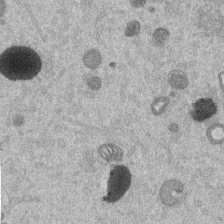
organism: Mouse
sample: Dividing mouse embryo 1 cell stage